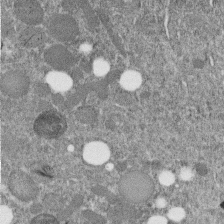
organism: C. elegans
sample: C. elegans embryo early stage